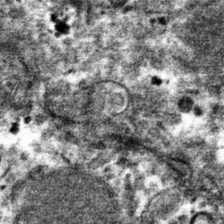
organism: Mouse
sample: Mouse hepatocytes